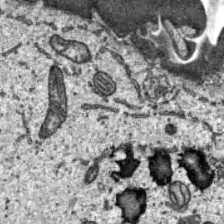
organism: Human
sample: HeLa cells